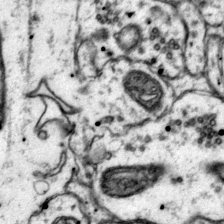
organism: Mouse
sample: Primary visual cortex